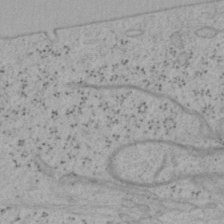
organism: Human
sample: HeLa cells